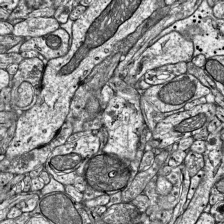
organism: Mouse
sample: Visual Cortex